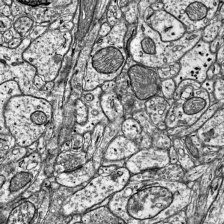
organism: Mouse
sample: Visual Cortex